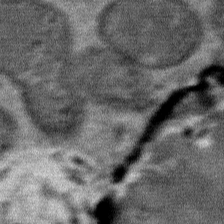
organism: Mouse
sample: Mouse Salivary gland